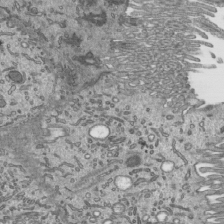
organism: Mouse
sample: Mouse epididymis efferent ductule cilia